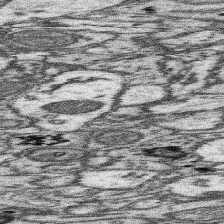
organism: Mouse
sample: Somatosensory cortex neuropil